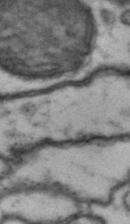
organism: Drosophila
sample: Brain